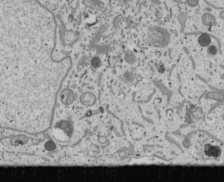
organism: Human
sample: Mitochondria in U2OS cells